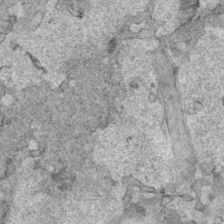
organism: Human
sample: Mitochondria in HCT116 cells